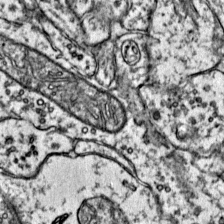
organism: Mouse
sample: Primary visual cortex